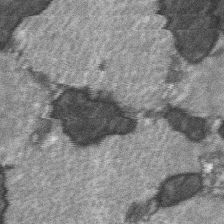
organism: C57BL Mouse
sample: Soleus